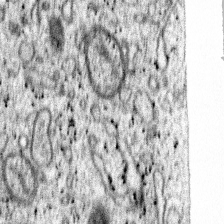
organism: Human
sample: HeLa cells